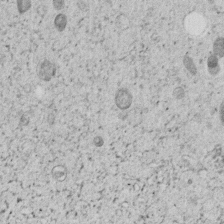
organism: C. elegans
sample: C. elegans embryo early stage